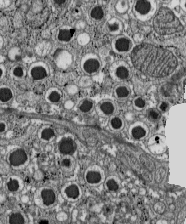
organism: C57BL Mouse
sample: Pancreatic islet